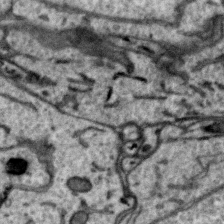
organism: Zebra finch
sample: Brain